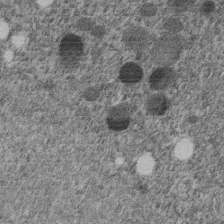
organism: C. elegans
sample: C. elegans embryo early stage